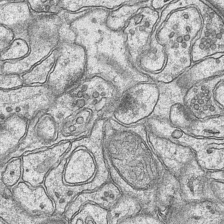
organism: Mouse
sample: CA1 Hippocampus